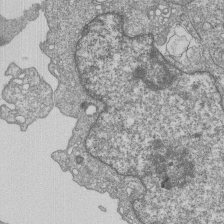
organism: Human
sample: MDA-MB-231 cells